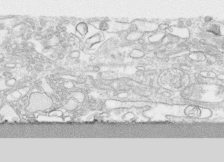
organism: Human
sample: CRL-1474